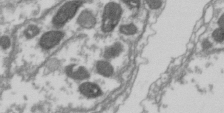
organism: Drosophila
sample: Cell division; meiosis; drosophila spermatocytes